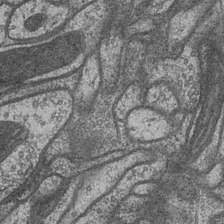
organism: Drosophila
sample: Optic medulla